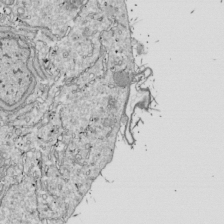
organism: Drosophila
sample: Cell division; meiosis; drosophila spermatocytes